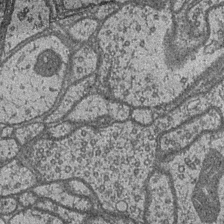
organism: Drosophila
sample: Optic medulla